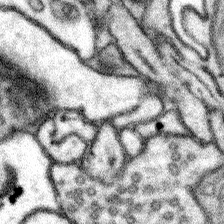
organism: Mouse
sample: Somatosensory cortex neuropil